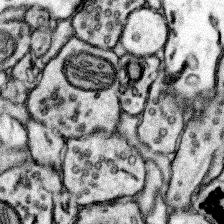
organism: Mouse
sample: Somatosensory cortex neuropil